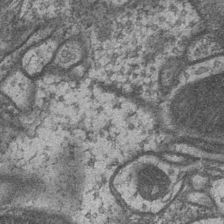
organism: Drosophila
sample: Optic medulla